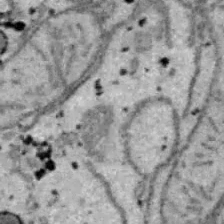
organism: Mouse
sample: Liver from an obese (ob/ob) mouse